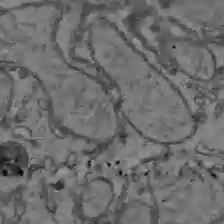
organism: C57BL Mouse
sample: Liver